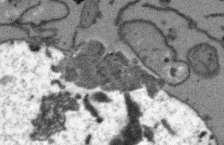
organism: Arabidopsis thaliana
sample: Root tip